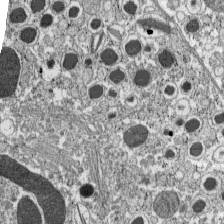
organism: C57BL Mouse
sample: Pancreatic islet